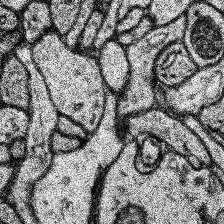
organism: Human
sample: Temporal Lobe